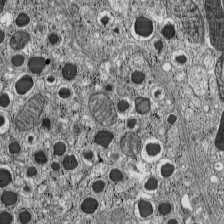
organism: C57BL Mouse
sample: Pancreatic islet